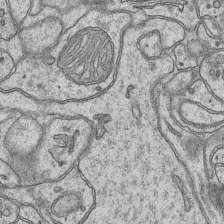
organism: Mouse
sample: CA1 Hippocampus